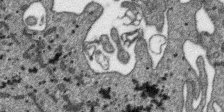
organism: Human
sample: Lung epithelial cells infected with SARS-CoV-2